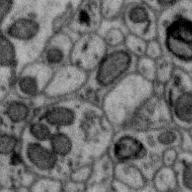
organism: Zebra finch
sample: Brain